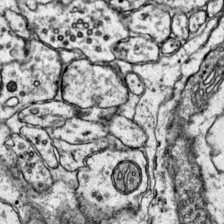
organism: Mouse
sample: Primary visual cortex